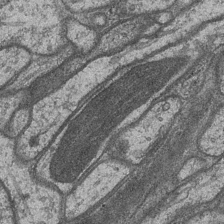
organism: Drosophila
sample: Optic medulla